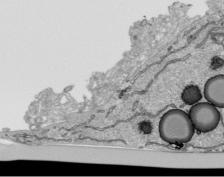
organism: Human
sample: Mitochondria in HCT116 cells